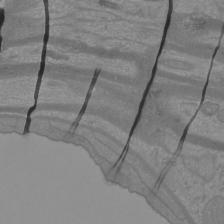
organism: Mouse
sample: Cortical neurons